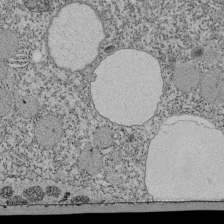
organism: Tetrahymena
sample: Cilia in tetrahymena